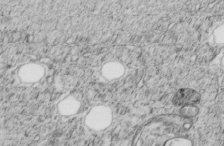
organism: C. elegans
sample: C. elegans embryo early stage